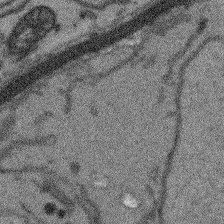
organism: Arabidopsis thaliana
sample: Root tip